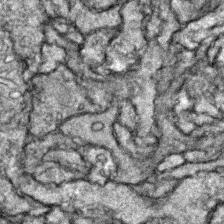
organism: Zebrafish